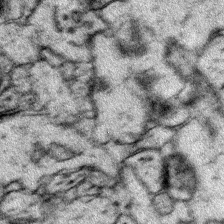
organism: Mouse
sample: Primary visual cortex